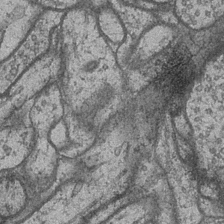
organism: Drosophila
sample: Optic medulla